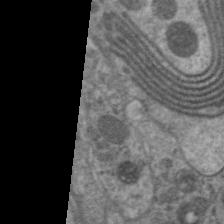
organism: C. elegans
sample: Pharynx